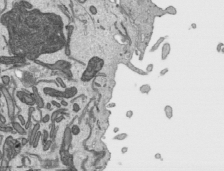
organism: Human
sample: Mitochondria in HCT116 cells